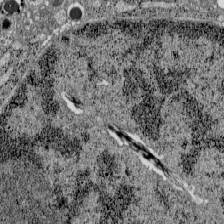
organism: C57BL Mouse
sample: Pancreatic islet